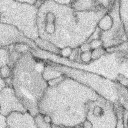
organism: Rabbit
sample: Retina